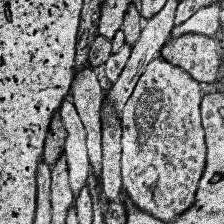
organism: Human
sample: Temporal Lobe